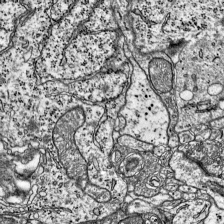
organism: Mouse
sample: Visual Cortex